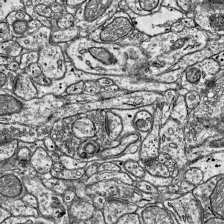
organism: Mouse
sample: Visual Cortex